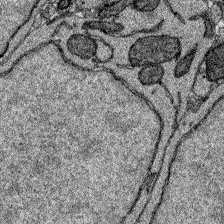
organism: Zebrafish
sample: Larval olfactory bulb